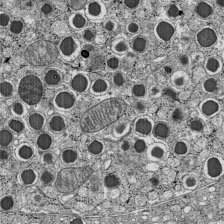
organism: C57BL Mouse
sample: Pancreatic islet